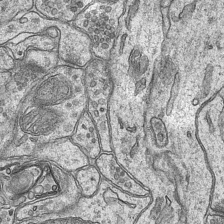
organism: Mouse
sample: CA1 Hippocampus